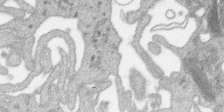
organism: Human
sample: Lung epithelial cells infected with SARS-CoV-2